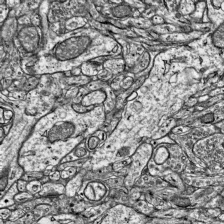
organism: Mouse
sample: Visual Cortex